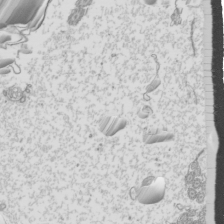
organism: Mouse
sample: Cilia; mouse epididymis